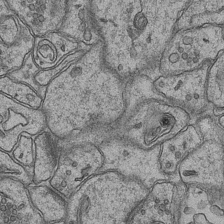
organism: Mouse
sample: CA1 Hippocampus